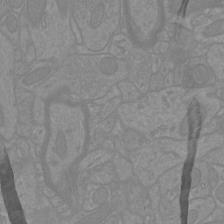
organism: Mouse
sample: Cortical neurons